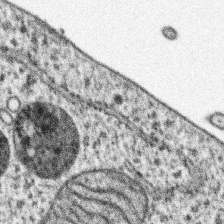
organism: Human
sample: HeLa cells